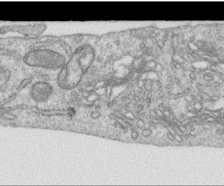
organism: Human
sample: Centriole in RPE cells